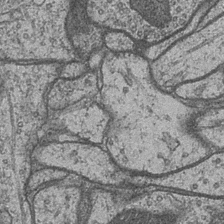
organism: Drosophila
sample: Optic medulla